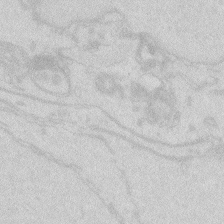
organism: Zebrafish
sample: Macrophage